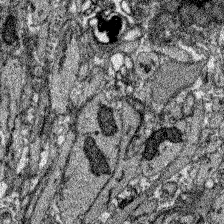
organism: Zebrafish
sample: Larval olfactory bulb